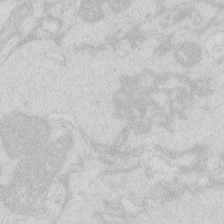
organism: Zebrafish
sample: Macrophage